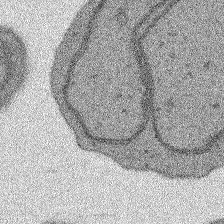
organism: Human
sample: HeLa cells